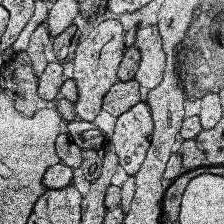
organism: Human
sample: Temporal Lobe